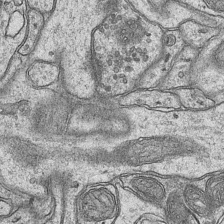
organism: Mouse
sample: CA1 Hippocampus